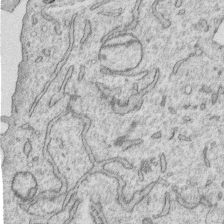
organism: Human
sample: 1205lu cells